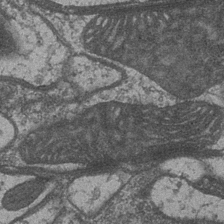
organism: Drosophila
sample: Optic medulla